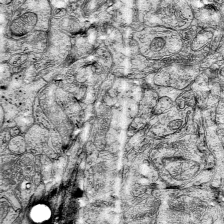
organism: Mouse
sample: Visual Cortex